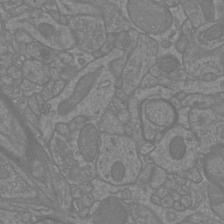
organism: Mouse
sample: Cortical neurons